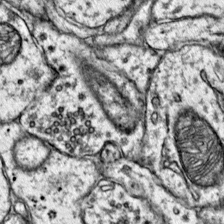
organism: Mouse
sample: Primary visual cortex